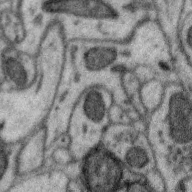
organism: Zebra finch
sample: Brain